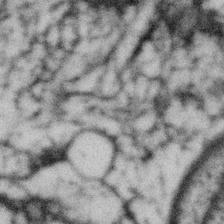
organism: Gemmata obscuriglobus